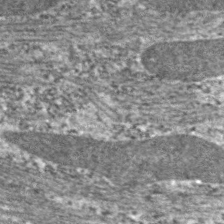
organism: C. elegans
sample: Pharynx